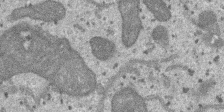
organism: Human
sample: Lung epithelial cells infected with SARS-CoV-2